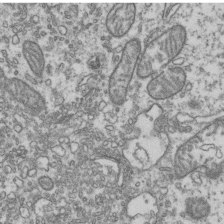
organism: Human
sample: Activated Jurkat CD4+ T cells